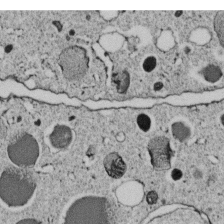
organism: C. elegans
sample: C. elegans embryo early stage